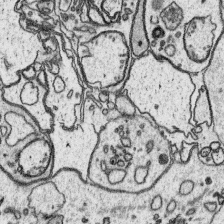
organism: Platynereis dumerilii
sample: Parapodia